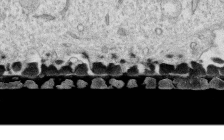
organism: Human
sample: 1205lu cells